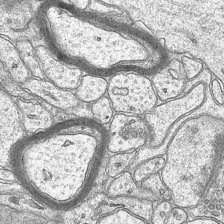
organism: Mouse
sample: CA1 Hippocampus